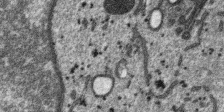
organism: Human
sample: Lung epithelial cells infected with SARS-CoV-2